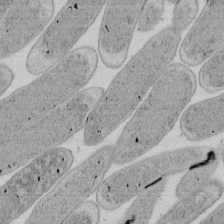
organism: E. coli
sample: Bacterial nucleoid